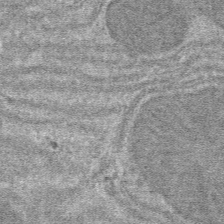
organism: Mouse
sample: Mouse hepatocytes